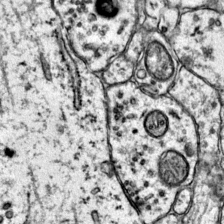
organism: Mouse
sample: Primary visual cortex